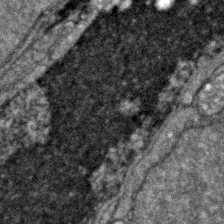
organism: Zebrafish